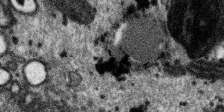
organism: Human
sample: Lung epithelial cells infected with SARS-CoV-2